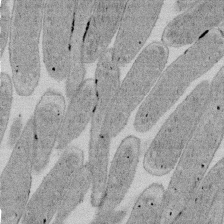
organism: E. coli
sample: Bacterial nucleoid